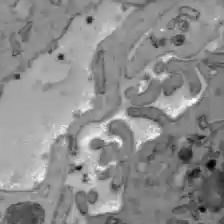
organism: C57BL Mouse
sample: Liver